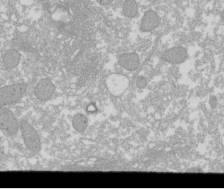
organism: Xenopus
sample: Cilia; centrioles in frog embryo cells